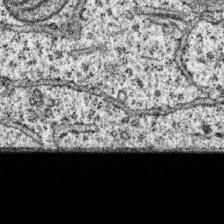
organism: Human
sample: HeLa cells